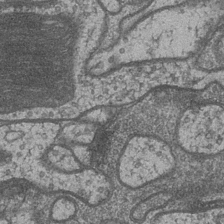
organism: Drosophila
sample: Optic medulla